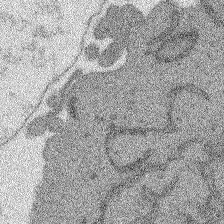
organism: Human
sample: HeLa cells